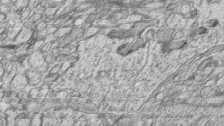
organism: Zebrafish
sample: synaptic ribbons in rod cells and cone cells